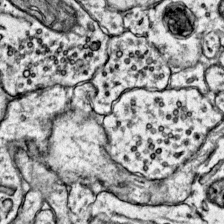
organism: Mouse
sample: Primary visual cortex